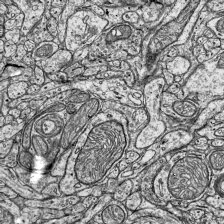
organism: Mouse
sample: Visual Cortex